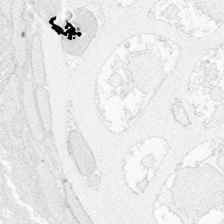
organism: Zebrafish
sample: Whole-Brain